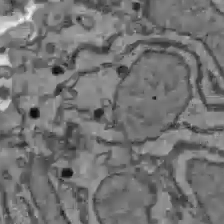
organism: C57BL Mouse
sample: Liver